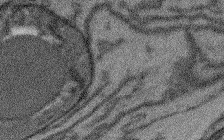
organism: Arabidopsis thaliana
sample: Root tip